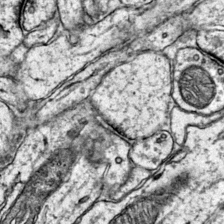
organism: Mouse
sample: Primary visual cortex